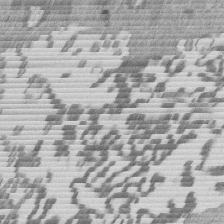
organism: Mouse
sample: Dividing mouse embryo 1 cell stage